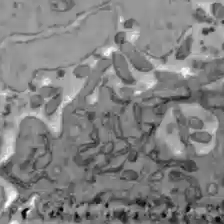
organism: C57BL Mouse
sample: Liver